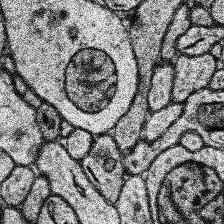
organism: Human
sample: Temporal Lobe